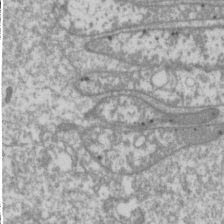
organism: Drosophila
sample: Cell division; meiosis; drosophila spermatocytes